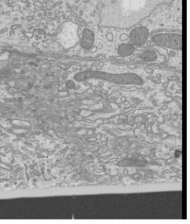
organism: Mouse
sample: Cilia; mouse epididymis